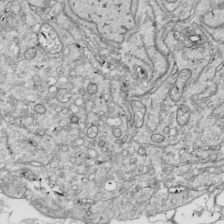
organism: Drosophila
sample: Cell division; meiosis; drosophila spermatocytes